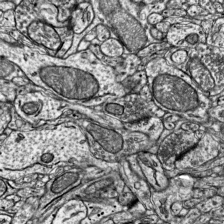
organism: Mouse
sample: Visual Cortex